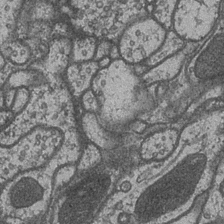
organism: Drosophila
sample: Optic medulla